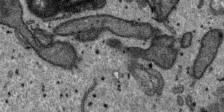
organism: Human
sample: Lung epithelial cells, uninfected (mock) control